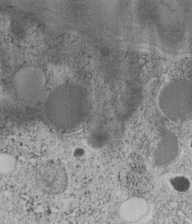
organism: C. elegans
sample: C. elegans embryo early stage